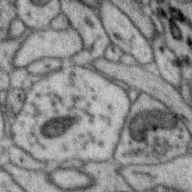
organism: Zebra finch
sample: Brain